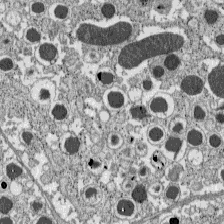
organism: C57BL Mouse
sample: Pancreatic islet